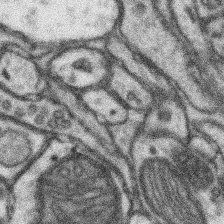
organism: Mouse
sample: Somatosensory cortex neuropil